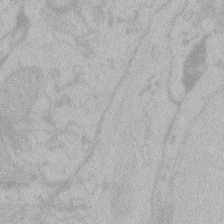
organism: Zebrafish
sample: Macrophage infected with Toxoplasma gondii